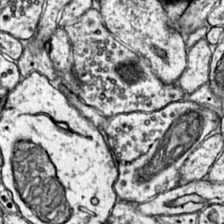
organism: Mouse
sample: Primary visual cortex